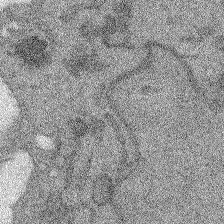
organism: Human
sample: HeLa cells